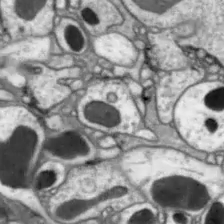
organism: Drosophila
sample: Optic lobe